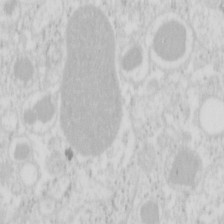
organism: Mouse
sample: Pancreas